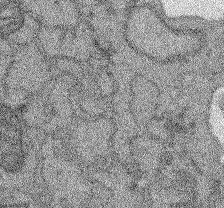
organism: Human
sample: HeLa cells